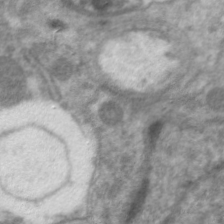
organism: C. elegans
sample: Pharynx